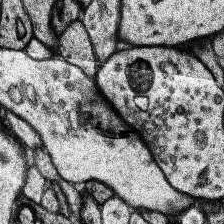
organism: Human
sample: Temporal Lobe